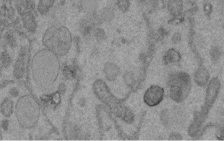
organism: C. elegans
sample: C. elegans embryo early stage